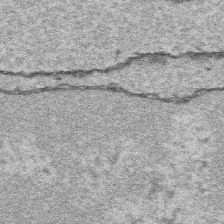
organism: Platynereis dumerilii